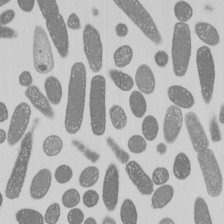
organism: E. coli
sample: Bacterial nucleoid